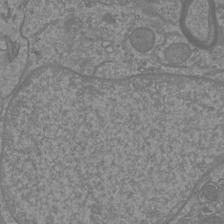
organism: Mouse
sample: Cortical neurons